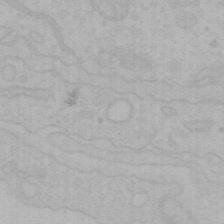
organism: Mouse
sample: Choroid plexus